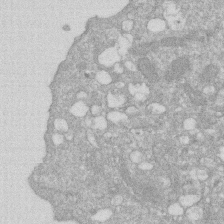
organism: Human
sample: HIV infected U937 cells